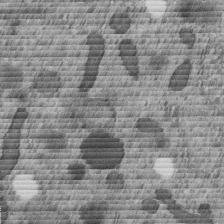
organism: C. elegans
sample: C. elegans embryo early stage